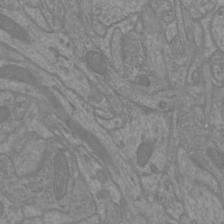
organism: Mouse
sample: Cortical neurons